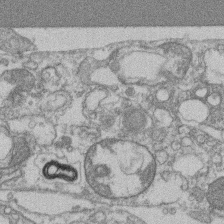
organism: Mouse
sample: T cell stromal cell synapse